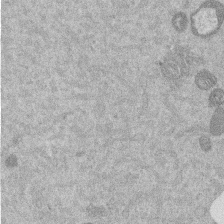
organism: Mouse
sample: Dividing mouse embryo 1 cell stage